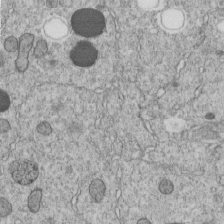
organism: C. elegans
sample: C. elegans embryo early stage